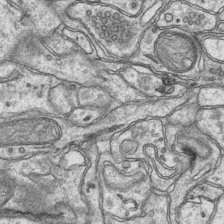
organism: Mouse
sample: CA1 Hippocampus